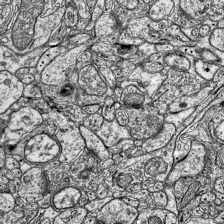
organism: Mouse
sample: Visual Cortex